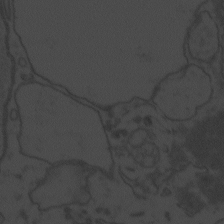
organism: Zebrafish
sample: Macrophage infected with Toxoplasma gondii